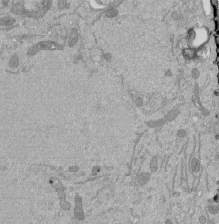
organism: Mouse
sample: ED-1 cell nuclei; centrioles